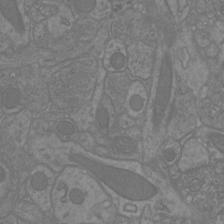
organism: Mouse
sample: Cortical neurons